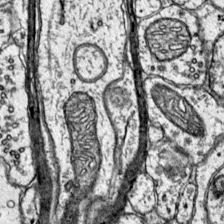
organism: Mouse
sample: Primary visual cortex